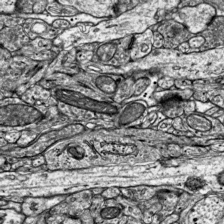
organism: Mouse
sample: Visual Cortex